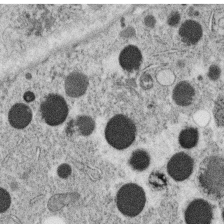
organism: C. elegans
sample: C. elegans oocyte; sperm cells